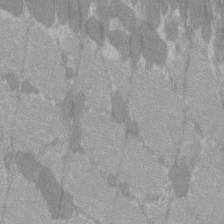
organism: C57BL Mouse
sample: Tibialis anterior muscle cell